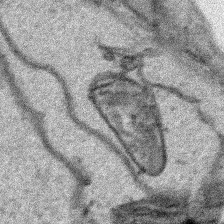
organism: Human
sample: Mitochondria in HCT116 cells